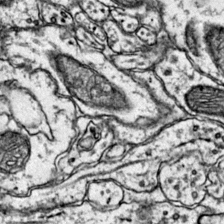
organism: Mouse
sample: Primary visual cortex